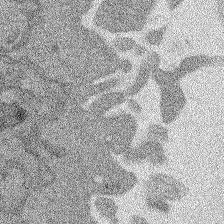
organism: Human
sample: HeLa cells